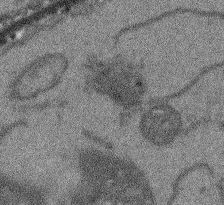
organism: Arabidopsis thaliana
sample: Root tip